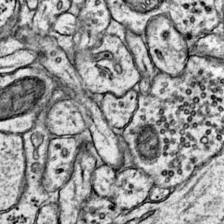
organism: Mouse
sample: Primary visual cortex